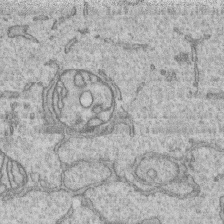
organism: Human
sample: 1205lu cells